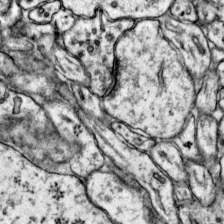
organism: Mouse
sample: Primary visual cortex